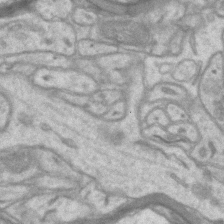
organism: Mouse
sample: CA1 Hippocampus